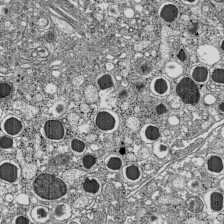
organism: C57BL Mouse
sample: Pancreatic islet